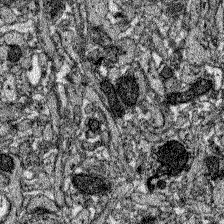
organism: Zebrafish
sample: Larval olfactory bulb